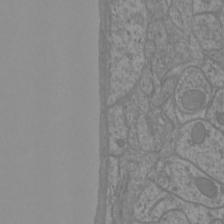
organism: Mouse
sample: Cortical neurons